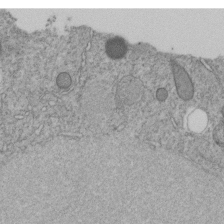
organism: C. elegans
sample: C. elegans embryo early stage